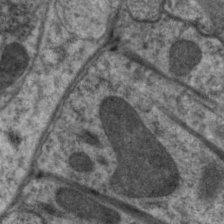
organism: C. elegans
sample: Pharynx